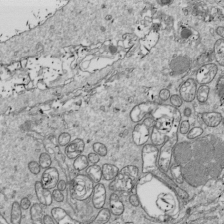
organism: Drosophila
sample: Cell division; meiosis; drosophila spermatocytes